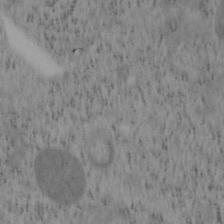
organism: Mouse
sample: OT-I killer T cells with ID8 ovarian cancer cells